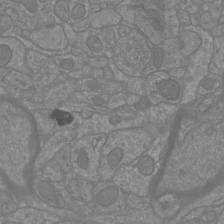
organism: Mouse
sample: Cortical neurons